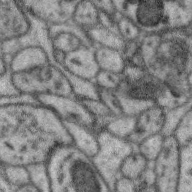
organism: Zebra finch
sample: Brain